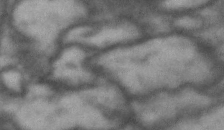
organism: Drosophila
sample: Brain